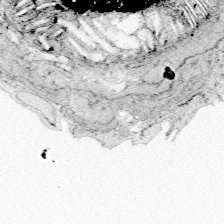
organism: Zebrafish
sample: Whole-Brain